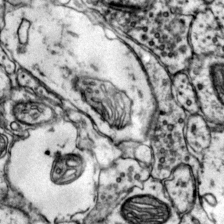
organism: Mouse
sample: Primary visual cortex